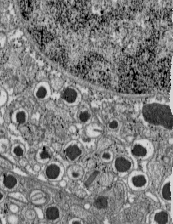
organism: C57BL Mouse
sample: Pancreatic islet